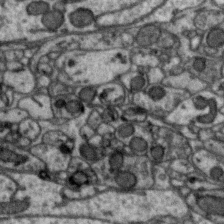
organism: Zebra finch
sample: Brain